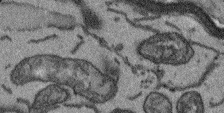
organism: Arabidopsis thaliana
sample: Root tip